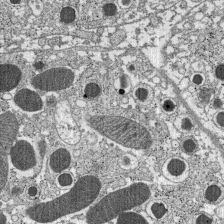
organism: C57BL Mouse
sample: Pancreatic islet